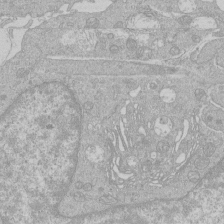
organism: Human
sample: Macrophage cells